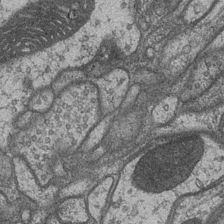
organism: Drosophila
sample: Optic medulla